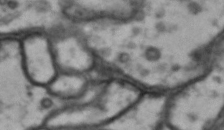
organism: Drosophila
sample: Brain